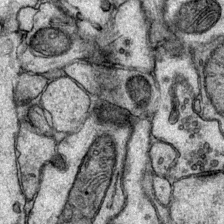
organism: Mouse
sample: Primary visual cortex